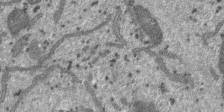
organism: Human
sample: Lung epithelial cells infected with SARS-CoV-2